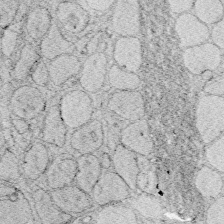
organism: Zebrafish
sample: Whole-Brain